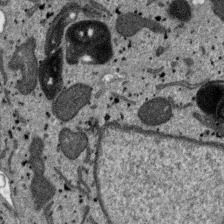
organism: Human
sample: Lung epithelial cells, uninfected (mock) control